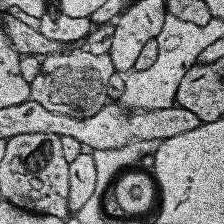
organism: Human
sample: Temporal Lobe